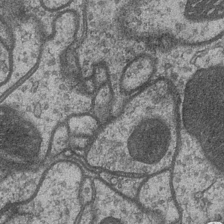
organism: Drosophila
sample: Optic medulla